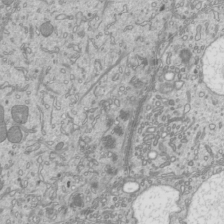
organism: Mouse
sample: Cilia; mouse epididymis